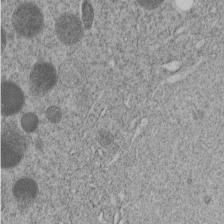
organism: C. elegans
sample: C. elegans embryo early stage